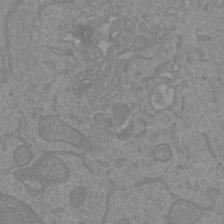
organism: Mouse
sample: Cortical neurons